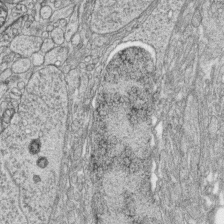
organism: Zebrafish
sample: synaptic ribbons in rod cells and cone cells